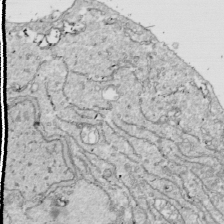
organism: Drosophila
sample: Cell division; meiosis; drosophila spermatocytes